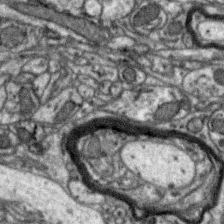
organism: Zebra finch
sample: Brain